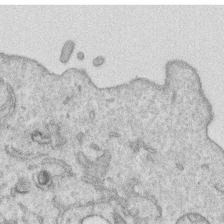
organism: Human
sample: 1205lu cells